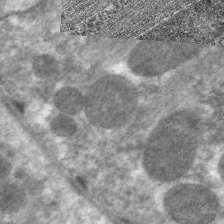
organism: C. elegans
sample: Pharynx